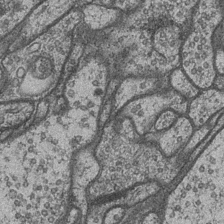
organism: Drosophila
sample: Optic medulla